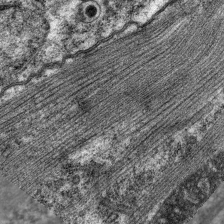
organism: C. elegans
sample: Pharynx